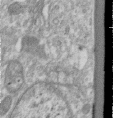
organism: Human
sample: Centriole in RPE cells